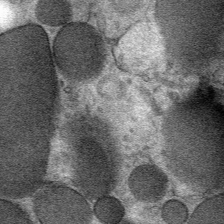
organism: Mouse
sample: Mouse Salivary gland